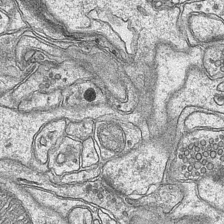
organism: Mouse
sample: CA1 Hippocampus